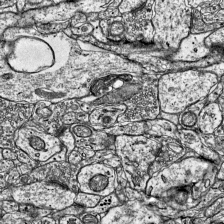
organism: Mouse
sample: Visual Cortex